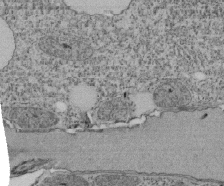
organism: Tetrahymena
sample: Cilia in tetrahymena